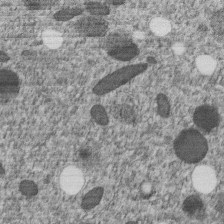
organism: C. elegans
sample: C. elegans embryo early stage